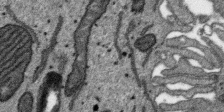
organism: Human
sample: Lung epithelial cells, uninfected (mock) control